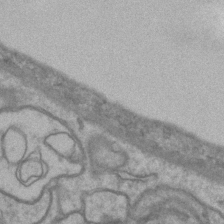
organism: Mouse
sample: CA1 Hippocampus